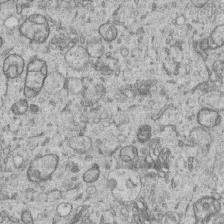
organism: Human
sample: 1205lu cells